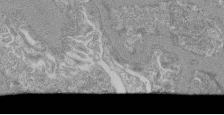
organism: Mouse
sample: Glomerulus